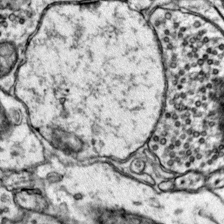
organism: Mouse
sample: Primary visual cortex